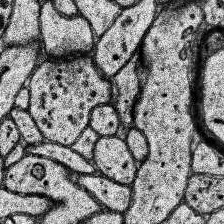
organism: Human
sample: Temporal Lobe